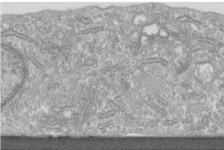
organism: Human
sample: Centriole in fibroblast cells